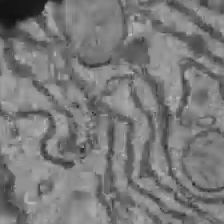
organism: C57BL Mouse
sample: Liver